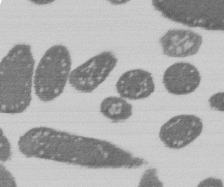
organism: E. coli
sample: Bacterial nucleoid